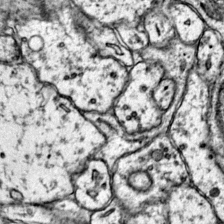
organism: Mouse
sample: Primary visual cortex